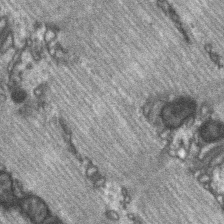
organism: C57BL Mouse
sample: Soleus